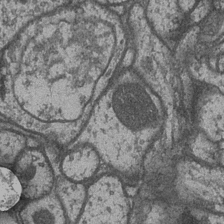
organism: Drosophila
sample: Optic medulla